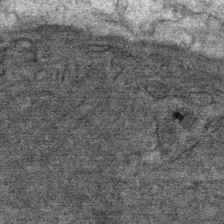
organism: Mouse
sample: Mouse Salivary gland